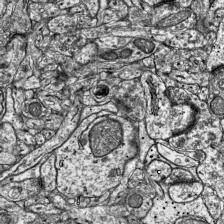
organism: Mouse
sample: Visual Cortex